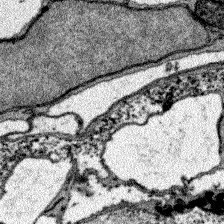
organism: Zebrafish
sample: Larval olfactory bulb